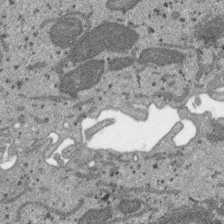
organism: Human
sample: Lung epithelial cells infected with SARS-CoV-2